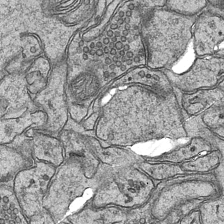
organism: Mouse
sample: CA1 Hippocampus